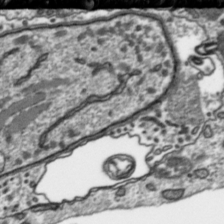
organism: Toxoplasma gondii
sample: Parasites in a vacuole inside a host cell